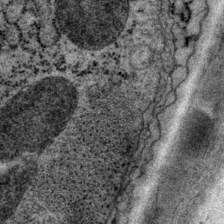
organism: P. pacificus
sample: Pharynx